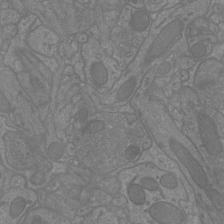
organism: Mouse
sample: Cortical neurons